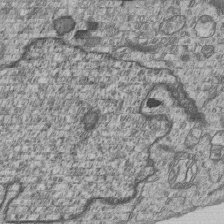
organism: Human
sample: MDA-MB-231 cells